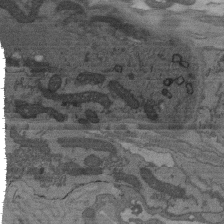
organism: C. elegans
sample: AFD neurons C. elegans